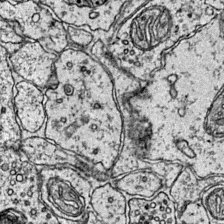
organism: Mouse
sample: Primary visual cortex